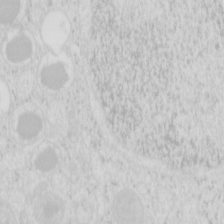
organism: Mouse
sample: Pancreas